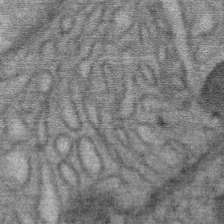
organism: Mouse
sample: Mouse Salivary gland